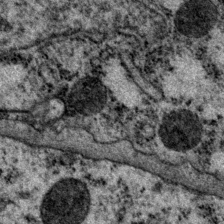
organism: P. pacificus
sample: Pharynx